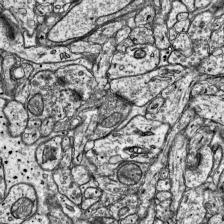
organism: Mouse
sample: Visual Cortex